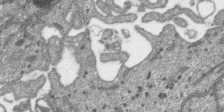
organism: Human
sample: Lung epithelial cells infected with SARS-CoV-2